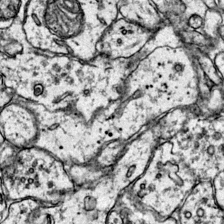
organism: Mouse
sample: Primary visual cortex